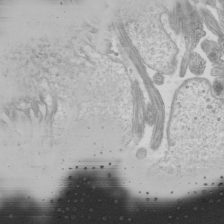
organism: Mouse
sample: Cilia; mouse epididymis